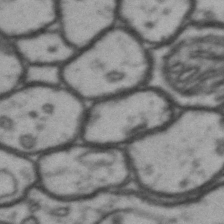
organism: Drosophila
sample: Brain